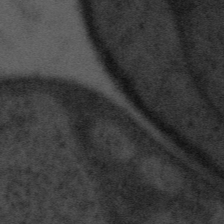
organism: Tuwongella immobilis